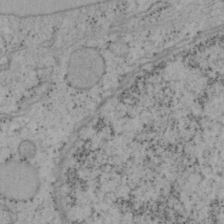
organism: Human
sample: HeLa cells